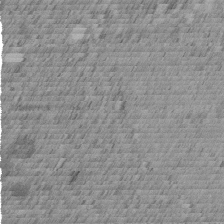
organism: C. elegans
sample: C. elegans embryo early stage